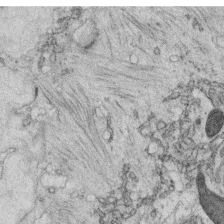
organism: C. elegans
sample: C. elegans oocyte; sperm cells